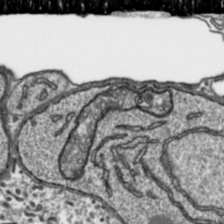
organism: Toxoplasma gondii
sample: Parasites in a vacuole inside a host cell